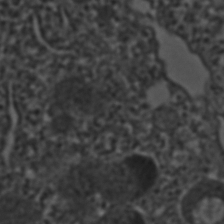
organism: C. elegans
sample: C. elegans embryo